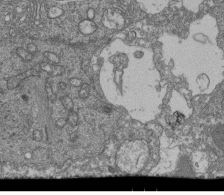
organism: Human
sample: Retinal organoid Rod and Cone cells